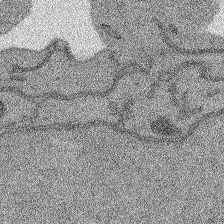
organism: Human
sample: HeLa cells